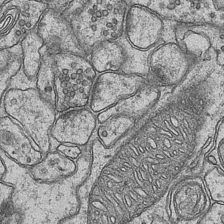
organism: Mouse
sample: CA1 Hippocampus